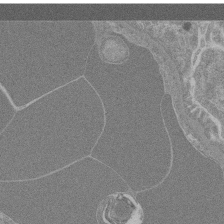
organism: Mouse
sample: Glomerulus